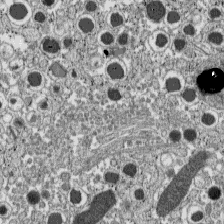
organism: C57BL Mouse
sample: Pancreatic islet